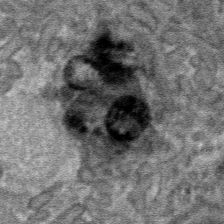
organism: Mouse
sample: Mouse hepatocytes